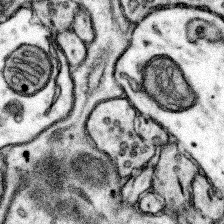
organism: Mouse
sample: Somatosensory cortex neuropil